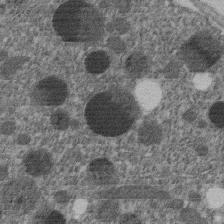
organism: C. elegans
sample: C. elegans embryo early stage